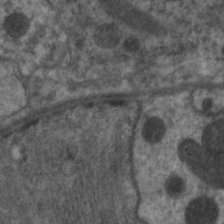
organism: C. elegans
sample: Pharynx